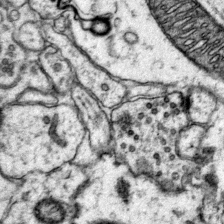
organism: Mouse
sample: Primary visual cortex